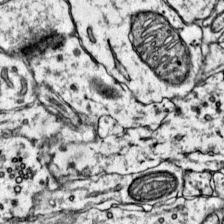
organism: Mouse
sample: Primary visual cortex